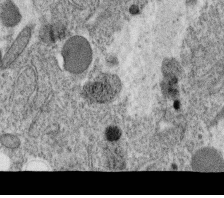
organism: C. elegans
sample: C. elegans oocyte; sperm cells